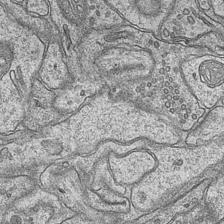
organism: Mouse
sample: CA1 Hippocampus